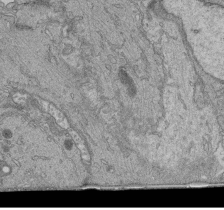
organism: Human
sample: Retinal organoid Rod and Cone cells